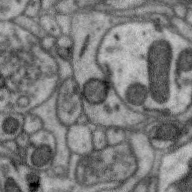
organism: Zebra finch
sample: Brain